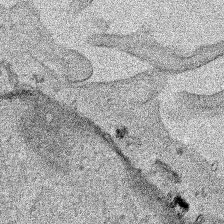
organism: Human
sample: Mitochondria in HCT116 cells